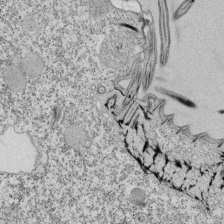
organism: Tetrahymena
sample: Cilia in tetrahymena